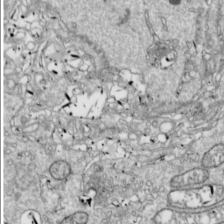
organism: Drosophila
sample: Cell division; meiosis; drosophila spermatocytes